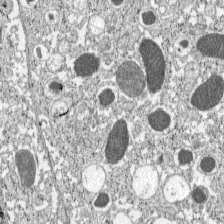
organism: C57BL Mouse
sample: Pancreatic islet